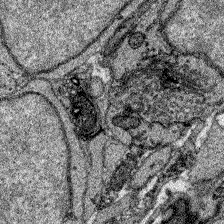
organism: Zebrafish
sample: Larval olfactory bulb